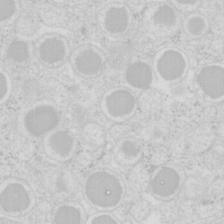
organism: Mouse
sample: Pancreas